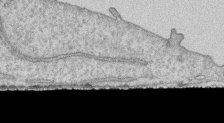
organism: Human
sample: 1205lu cells